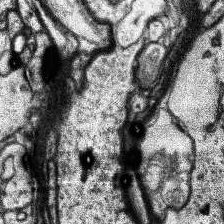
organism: Human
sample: Temporal Lobe